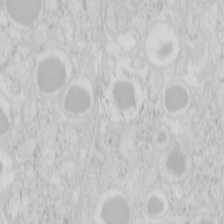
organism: Mouse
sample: Pancreas